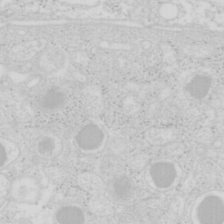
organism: Mouse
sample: Pancreas